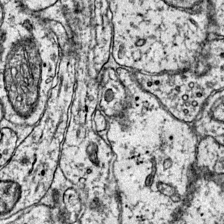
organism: Mouse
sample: Primary visual cortex